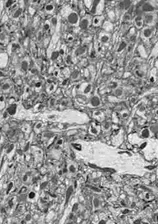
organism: Drosophila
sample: Optic lobe